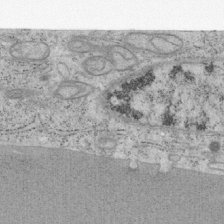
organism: Human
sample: HeLa cells